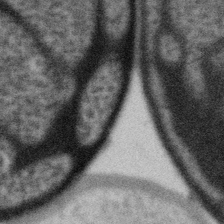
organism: Gemmata obscuriglobus